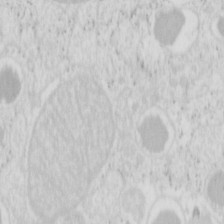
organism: Mouse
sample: Pancreas